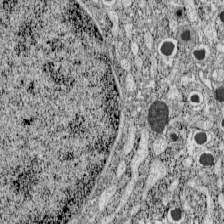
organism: C57BL Mouse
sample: Pancreatic islet